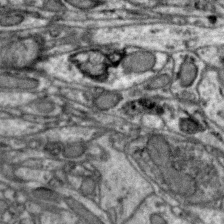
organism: Zebra finch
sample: Brain